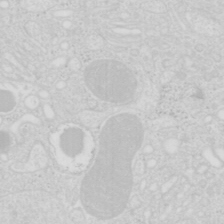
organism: Mouse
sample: Pancreas